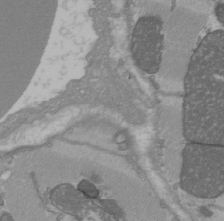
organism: C57BL Mouse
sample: Heart